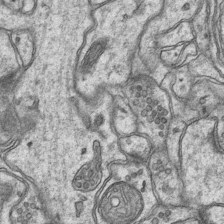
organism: Mouse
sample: CA1 Hippocampus